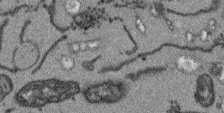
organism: Arabidopsis thaliana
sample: Root tip